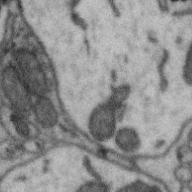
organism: Zebra finch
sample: Brain